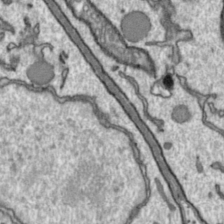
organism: Toxoplasma gondii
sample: Parasites in a vacuole inside a host cell